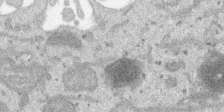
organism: Human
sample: Lung epithelial cells infected with SARS-CoV-2